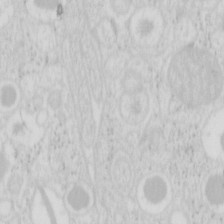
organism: Mouse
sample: Pancreas